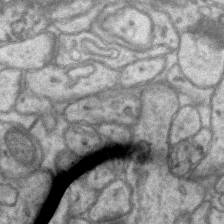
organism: Mouse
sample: CA1 Hippocampus